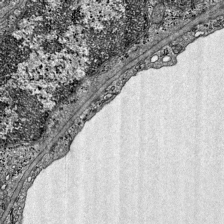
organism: Mouse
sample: Visual Cortex